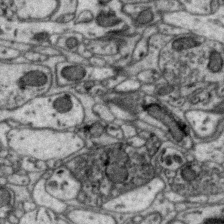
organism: Zebra finch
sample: Brain